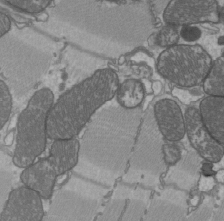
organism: C57BL Mouse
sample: Heart